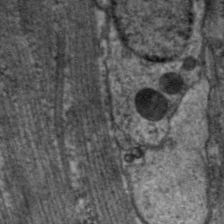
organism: C. elegans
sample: Pharynx